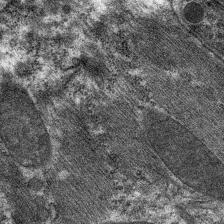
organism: C. elegans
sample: Pharynx